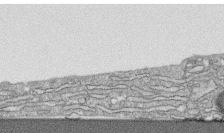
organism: Human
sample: CRL-1474